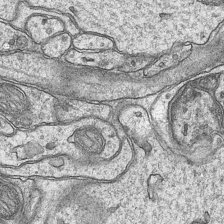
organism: Mouse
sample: CA1 Hippocampus